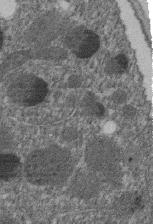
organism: C. elegans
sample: C. elegans embryo early stage